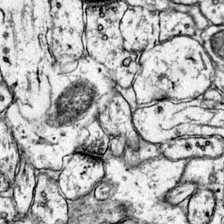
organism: Mouse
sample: Primary visual cortex